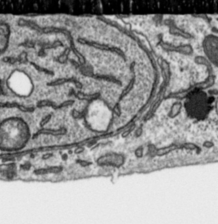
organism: Toxoplasma gondii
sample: Parasites in a vacuole inside a host cell